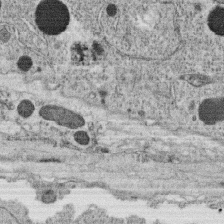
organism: C. elegans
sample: C. elegans oocyte; sperm cells